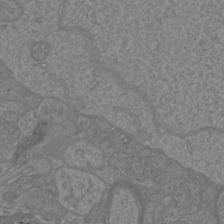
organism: Mouse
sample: Cortical neurons